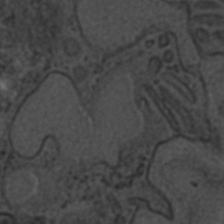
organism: C. elegans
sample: C. elegans embryo